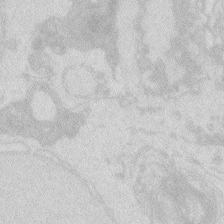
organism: Zebrafish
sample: Macrophage